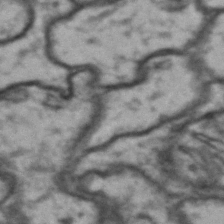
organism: Drosophila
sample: Brain